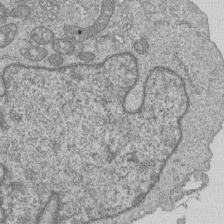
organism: Human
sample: MDA-MB-231 cells